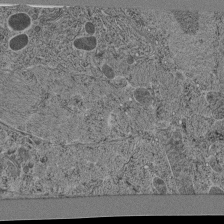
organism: C. elegans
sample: C. elegans pharynx